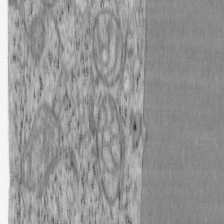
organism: Human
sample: HeLa cells